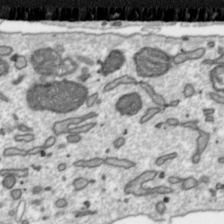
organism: Toxoplasma gondii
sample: Parasites in a vacuole inside a host cell